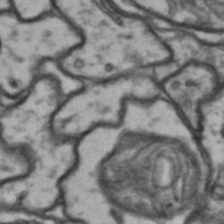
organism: Drosophila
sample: Brain